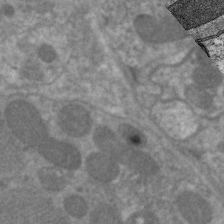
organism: C. elegans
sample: Pharynx